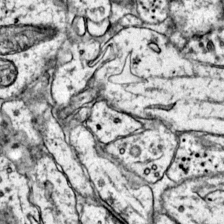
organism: Mouse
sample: Primary visual cortex